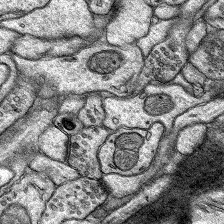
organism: Rat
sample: Hippocampus